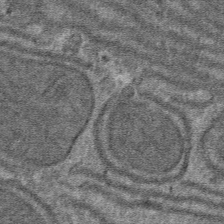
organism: Mouse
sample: Mouse hepatocytes